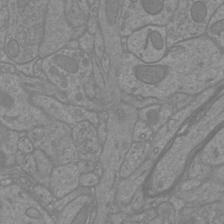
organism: Mouse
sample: Cortical neurons